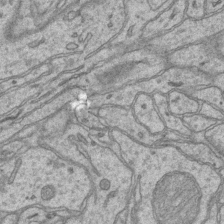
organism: Mouse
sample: CA1 Hippocampus